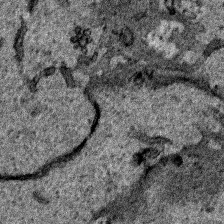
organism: Human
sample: Mitochondria in HCT116 cells